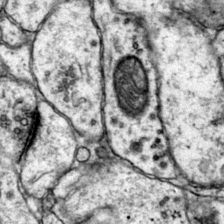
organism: Mouse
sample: Primary visual cortex